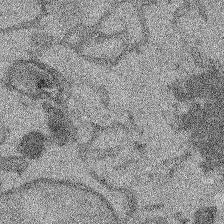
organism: Human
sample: HeLa cells